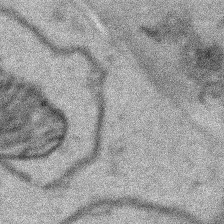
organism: Human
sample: Mitochondria in HCT116 cells